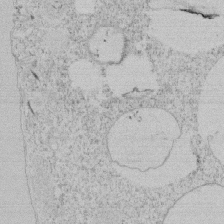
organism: Tetrahymena